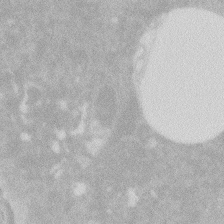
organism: Zebrafish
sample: Macrophage